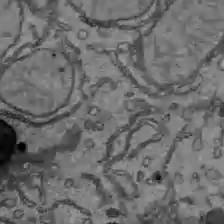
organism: C57BL Mouse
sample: Liver